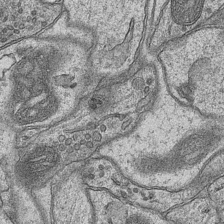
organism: Mouse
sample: CA1 Hippocampus